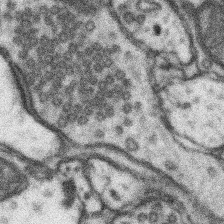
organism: Mouse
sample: Somatosensory cortex neuropil